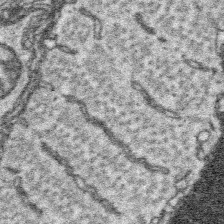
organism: Platynereis dumerilii